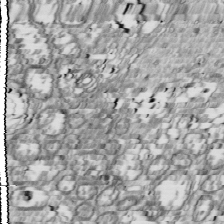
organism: Drosophila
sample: Cell division; meiosis; drosophila spermatocytes